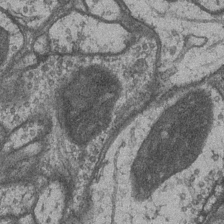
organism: Drosophila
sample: Optic medulla